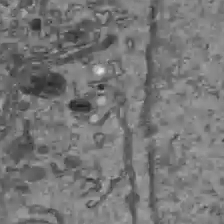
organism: C57BL Mouse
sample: Liver